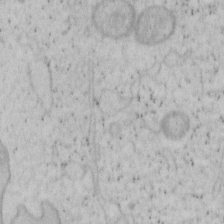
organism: Human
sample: HeLa cells